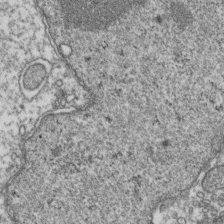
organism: Human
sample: Activated Jurkat CD4+ T cells